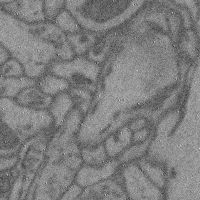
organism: Mouse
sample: Cerebral cortex